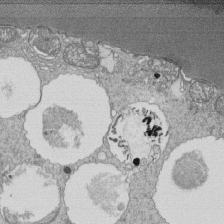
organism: Tetrahymena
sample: Cilia in tetrahymena